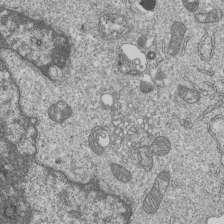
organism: Human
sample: MDA-MB-231 cells